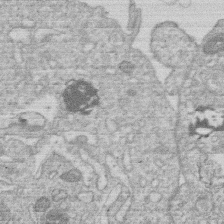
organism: Human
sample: Macrophage cells